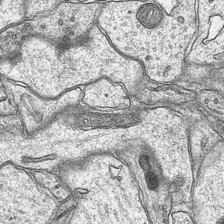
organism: Mouse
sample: CA1 Hippocampus